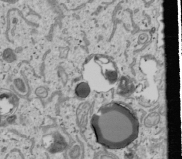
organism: Human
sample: Mitochondria in U2OS cells